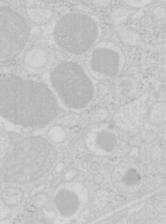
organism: Mouse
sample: Pancreas